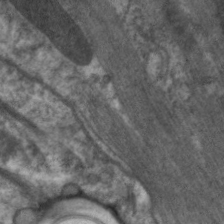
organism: C. elegans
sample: Pharynx